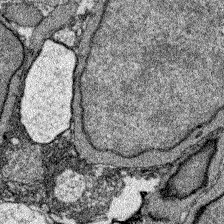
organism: Zebrafish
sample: Larval olfactory bulb